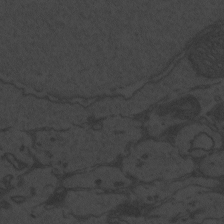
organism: Zebrafish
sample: Macrophage infected with Toxoplasma gondii